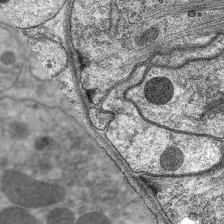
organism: C. elegans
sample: Pharynx